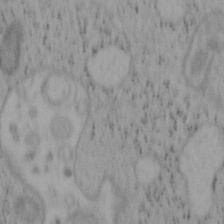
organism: Mouse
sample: OT-I killer T cells with ID8 ovarian cancer cells